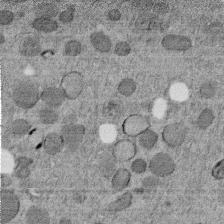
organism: C. elegans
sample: C. elegans embryo early stage